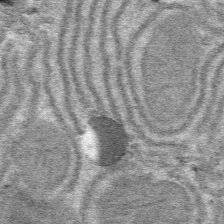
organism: Mouse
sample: Mouse hepatocytes